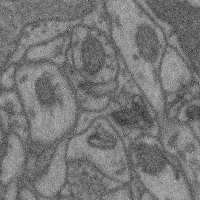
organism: Mouse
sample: Cerebral cortex